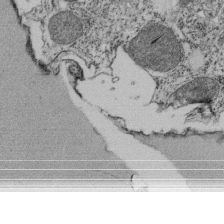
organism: Tetrahymena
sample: Cilia in tetrahymena